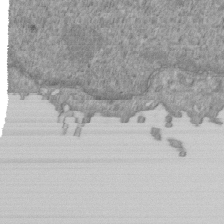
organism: Mouse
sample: ED-1 cell nuclei; centrioles